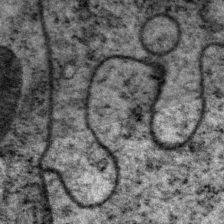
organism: P. pacificus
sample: Pharynx